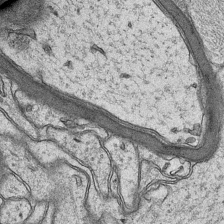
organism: Mouse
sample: CA1 Hippocampus